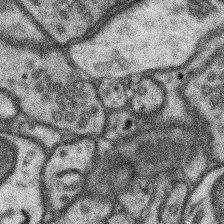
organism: Mouse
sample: Somatosensory cortex neuropil